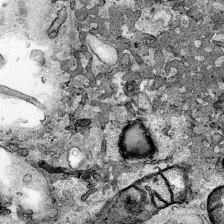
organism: Human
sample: Mitochondria in HCT116 cells